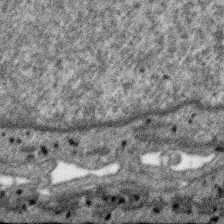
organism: Human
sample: Lung epithelial cells infected with SARS-CoV-2